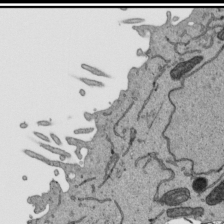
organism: Human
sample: Mitochondria in HCT116 cells